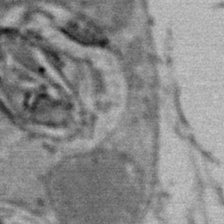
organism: Mouse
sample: Mouse Salivary gland